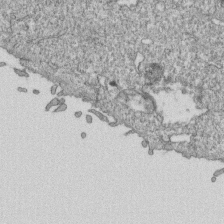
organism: Human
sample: HeLa cell HIV synapse